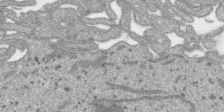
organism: Human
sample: Lung epithelial cells infected with SARS-CoV-2